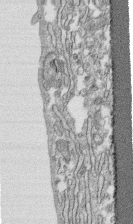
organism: Human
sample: CRL-1474